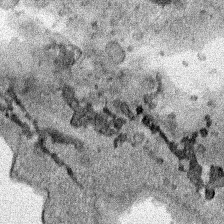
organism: Human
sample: Mitochondria in HCT116 cells